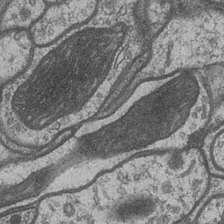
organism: Drosophila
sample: Optic medulla